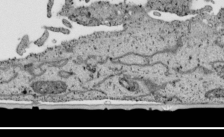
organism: Human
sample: Mitochondria in HCT116 cells